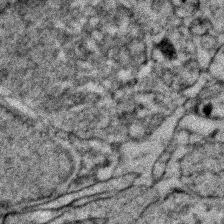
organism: Zebrafish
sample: Zebrafish embryo